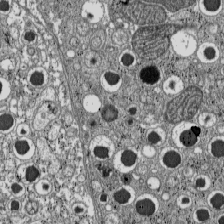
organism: C57BL Mouse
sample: Pancreatic islet